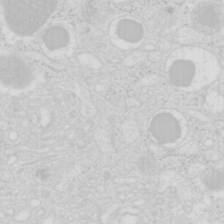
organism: Mouse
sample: Pancreas